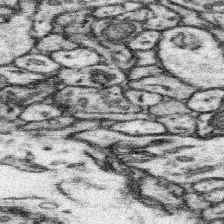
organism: Mouse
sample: Somatosensory cortex neuropil